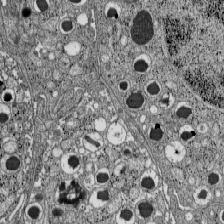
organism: C57BL Mouse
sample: Pancreatic islet